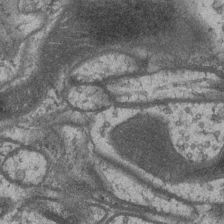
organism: Drosophila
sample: Optic medulla